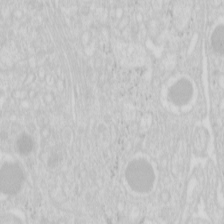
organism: Mouse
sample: Pancreas